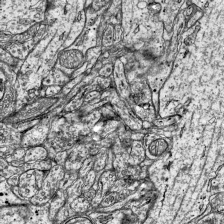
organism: Mouse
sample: Visual Cortex